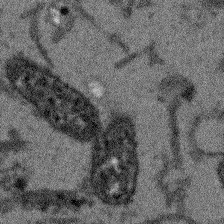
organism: Arabidopsis thaliana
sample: Root tip